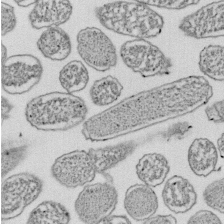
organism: E. coli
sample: Bacterial nucleoid